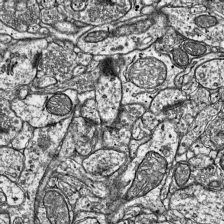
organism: Mouse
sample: Visual Cortex